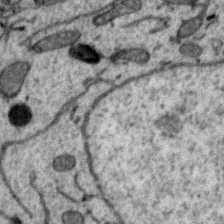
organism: Zebra finch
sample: Brain